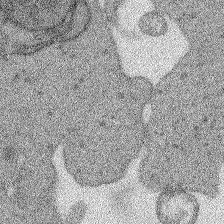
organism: Human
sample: HeLa cells